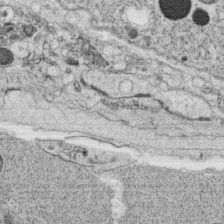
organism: C. elegans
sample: C. elegans oocyte; sperm cells